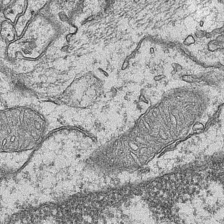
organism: Mouse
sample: CA1 Hippocampus